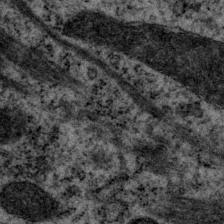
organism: P. pacificus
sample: Pharynx